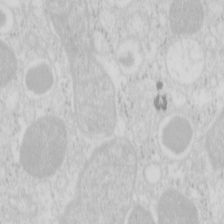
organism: Mouse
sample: Pancreas